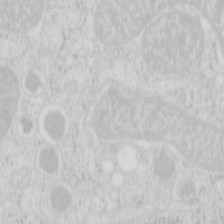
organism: Mouse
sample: Pancreas